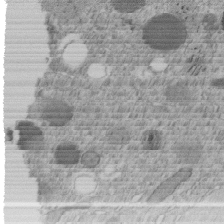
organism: C. elegans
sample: C. elegans embryo early stage